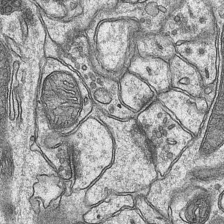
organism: Mouse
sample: CA1 Hippocampus